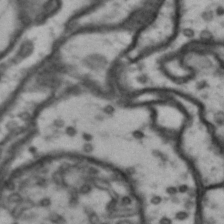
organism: Drosophila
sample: Brain